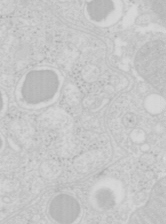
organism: Mouse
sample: Pancreas